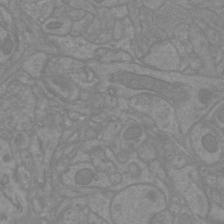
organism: Mouse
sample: Cortical neurons